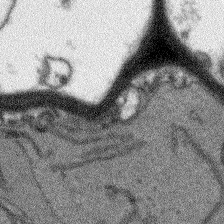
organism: Arabidopsis thaliana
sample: Root tip